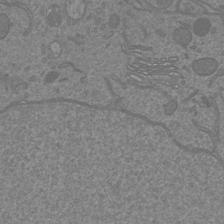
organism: Mouse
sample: Cortical neurons